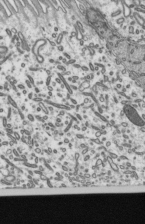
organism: Mouse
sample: Mouse epididymis efferent ductule cilia